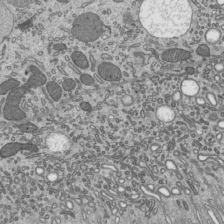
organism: Mouse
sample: Mouse epididymis efferent ductule cilia